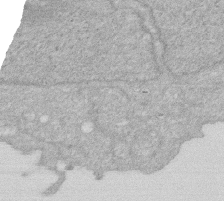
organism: Human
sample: HIV infected U937 cells